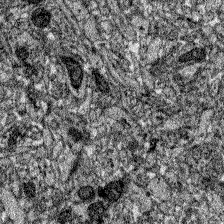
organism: Zebrafish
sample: Larval olfactory bulb